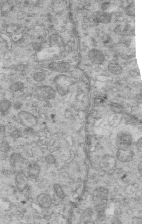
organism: Mouse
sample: Multiciliated cells